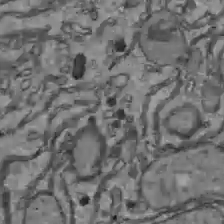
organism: C57BL Mouse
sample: Liver